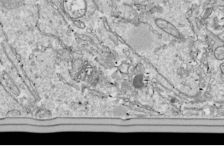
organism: Drosophila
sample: Cell division; meiosis; drosophila spermatocytes